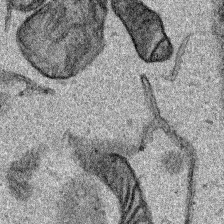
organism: Human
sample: Mitochondria in HCT116 cells